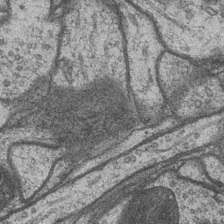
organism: Drosophila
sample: Optic medulla